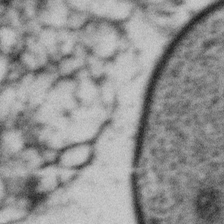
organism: Gemmata obscuriglobus